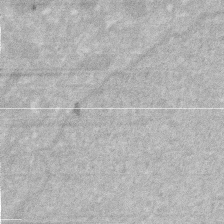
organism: Human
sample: HIV infected U937 cells